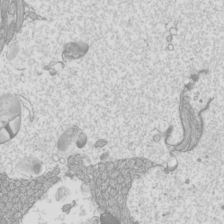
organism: Mouse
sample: Cilia; mouse epididymis